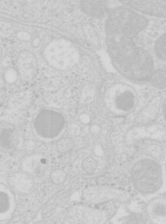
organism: Mouse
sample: Pancreas